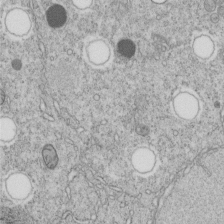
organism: C. elegans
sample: C. elegans embryo early stage